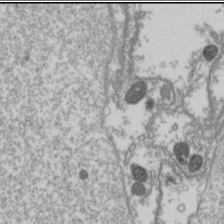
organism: Drosophila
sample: Cell division; meiosis; drosophila spermatocytes